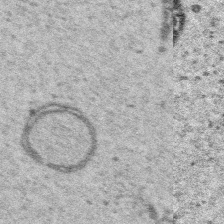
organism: Platynereis dumerilii